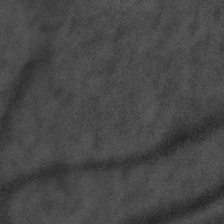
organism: Tuwongella immobilis